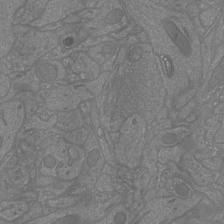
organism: Mouse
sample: Cortical neurons